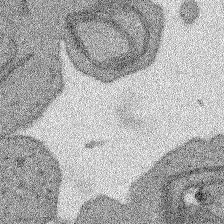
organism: Human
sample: HeLa cells